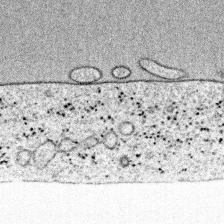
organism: Human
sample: HeLa cells